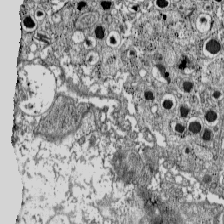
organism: C57BL Mouse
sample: Pancreatic islet